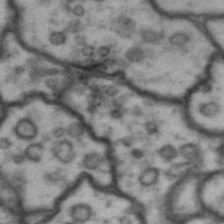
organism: Drosophila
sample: Brain